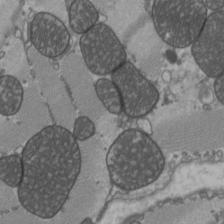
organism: C57BL Mouse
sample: Heart